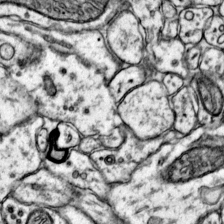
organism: Mouse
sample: Primary visual cortex